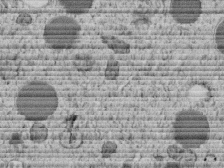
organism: C. elegans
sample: C. elegans embryo early stage